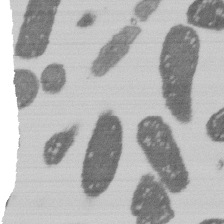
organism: E. coli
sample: Bacterial nucleoid